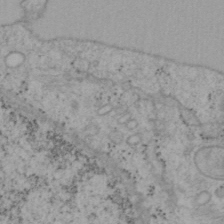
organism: Human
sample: HeLa cells